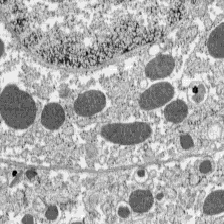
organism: C57BL Mouse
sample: Pancreatic islet